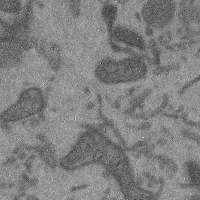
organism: Mouse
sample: Cerebral cortex